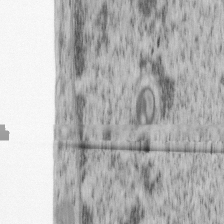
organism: Human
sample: HeLa cells